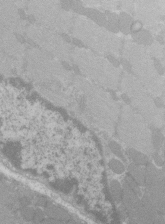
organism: C57BL Mouse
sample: Tibialis anterior muscle cell